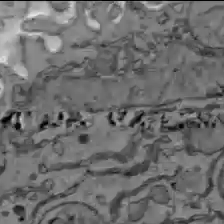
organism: C57BL Mouse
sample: Liver